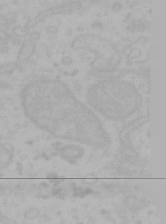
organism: Mouse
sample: Choroid plexus